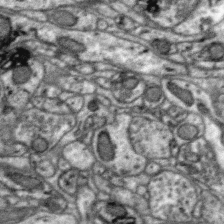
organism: Zebra finch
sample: Brain